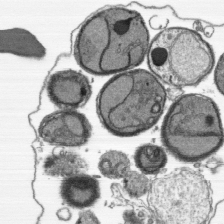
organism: Plasmodium falciparum